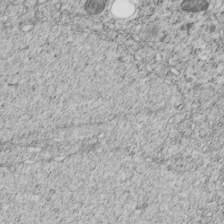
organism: C. elegans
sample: C. elegans embryo early stage